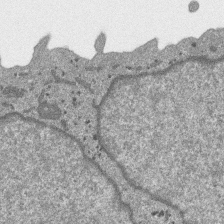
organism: Human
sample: Lung epithelial cells infected with SARS-CoV-2